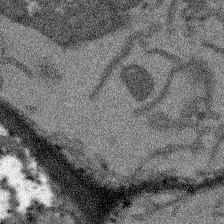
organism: Arabidopsis thaliana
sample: Root tip